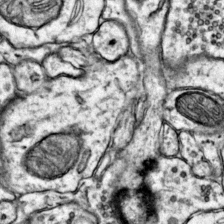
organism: Mouse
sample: Primary visual cortex